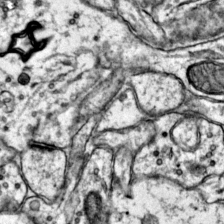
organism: Mouse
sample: Primary visual cortex